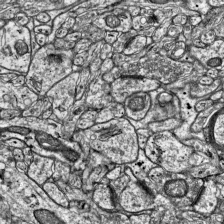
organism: Mouse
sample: Visual Cortex